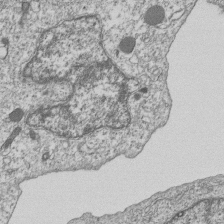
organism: Human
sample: MDA-MB-231 cells